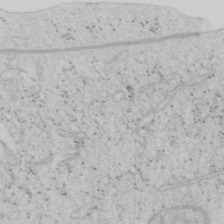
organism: Human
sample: HeLa cells